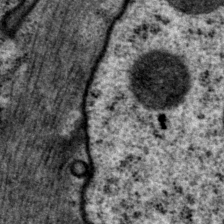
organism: P. pacificus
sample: Pharynx